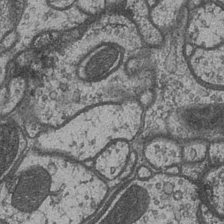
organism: Drosophila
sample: Optic medulla